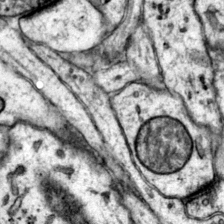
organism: Mouse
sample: Primary visual cortex